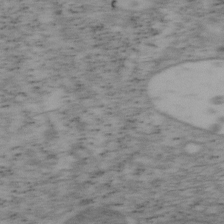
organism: Mouse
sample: OT-I killer T cells with ID8 ovarian cancer cells